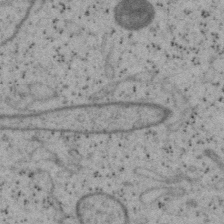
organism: Human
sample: HeLa cells